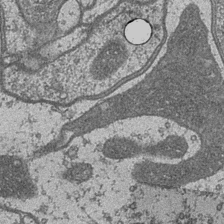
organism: Drosophila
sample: Optic medulla